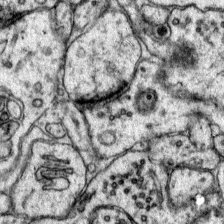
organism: Mouse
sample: Primary visual cortex